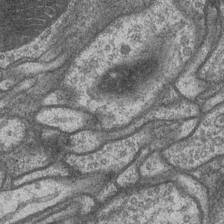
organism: Drosophila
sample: Optic medulla